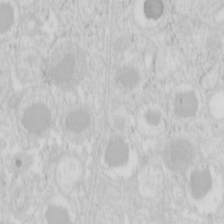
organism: Mouse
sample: Pancreas